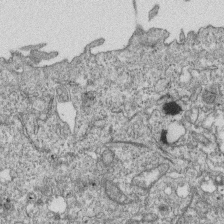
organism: Human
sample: HeLa cell HIV synapse